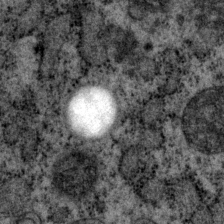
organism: P. pacificus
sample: Pharynx